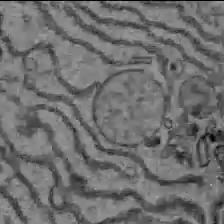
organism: C57BL Mouse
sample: Liver